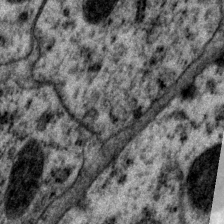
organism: P. pacificus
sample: Pharynx